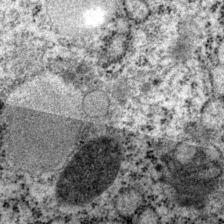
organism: P. pacificus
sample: Pharynx